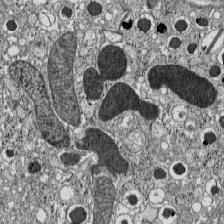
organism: C57BL Mouse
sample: Pancreatic islet